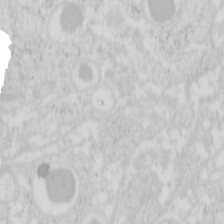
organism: Mouse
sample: Pancreas